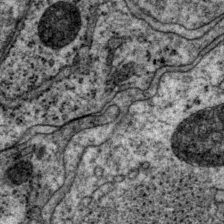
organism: P. pacificus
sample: Pharynx